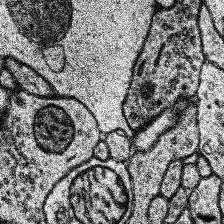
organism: Human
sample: Temporal Lobe